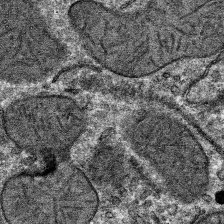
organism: Mouse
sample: Mouse hepatocytes